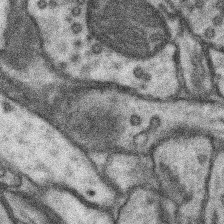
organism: Mouse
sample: Somatosensory cortex neuropil